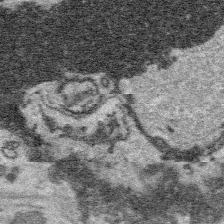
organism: Platynereis dumerilii